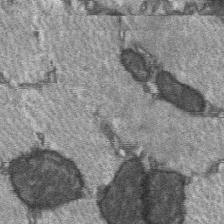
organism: C57BL Mouse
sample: Soleus